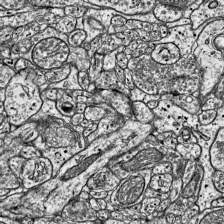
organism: Mouse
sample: Visual Cortex